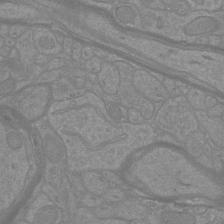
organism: Mouse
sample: Cortical neurons